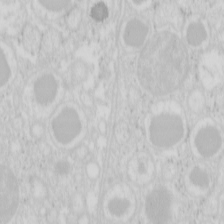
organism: Mouse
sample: Pancreas